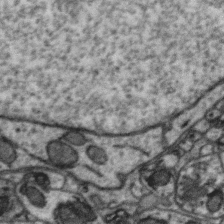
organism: Zebra finch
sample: Brain